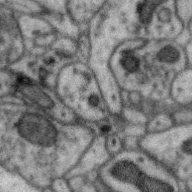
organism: Zebra finch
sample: Brain